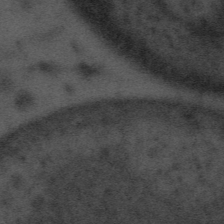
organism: Tuwongella immobilis